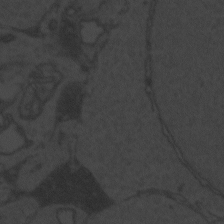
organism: Zebrafish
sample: Macrophage infected with Toxoplasma gondii